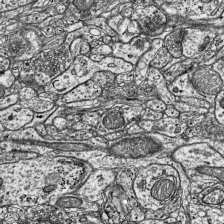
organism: Mouse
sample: Visual Cortex